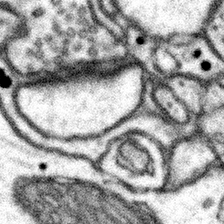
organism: Mouse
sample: Somatosensory cortex neuropil